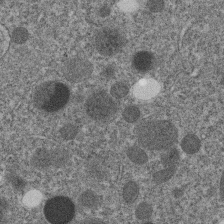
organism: C. elegans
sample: C. elegans embryo early stage